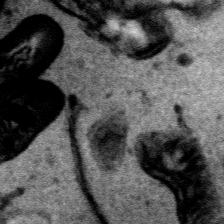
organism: Human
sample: Mitochondria in HCT116 cells